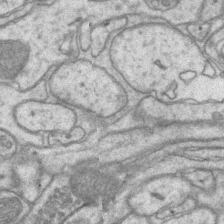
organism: Mouse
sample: CA1 Hippocampus